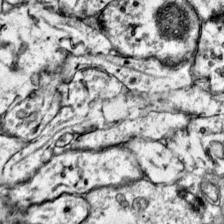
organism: Mouse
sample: Primary visual cortex